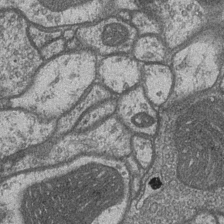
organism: Drosophila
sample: Optic medulla